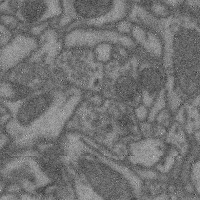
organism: Mouse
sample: Cerebral cortex